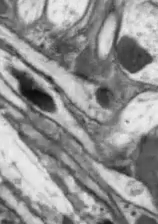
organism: Drosophila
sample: Optic lobe